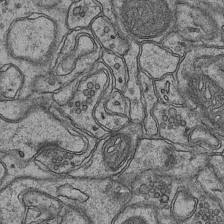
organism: Mouse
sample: CA1 Hippocampus